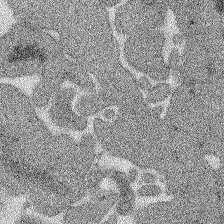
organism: Human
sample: HeLa cells